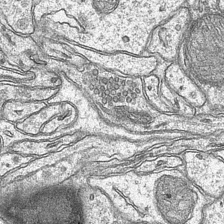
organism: Mouse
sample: CA1 Hippocampus